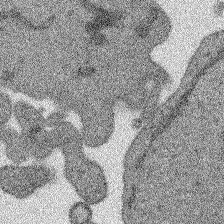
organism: Human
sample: HeLa cells